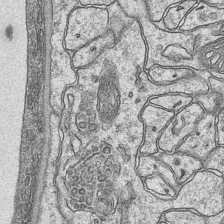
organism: Mouse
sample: CA1 Hippocampus